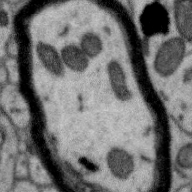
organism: Zebra finch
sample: Brain